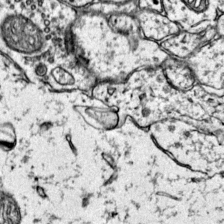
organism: Mouse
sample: Primary visual cortex